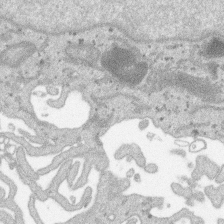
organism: Human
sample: Lung epithelial cells infected with SARS-CoV-2